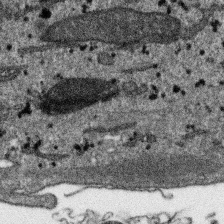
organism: Human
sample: Lung epithelial cells infected with SARS-CoV-2